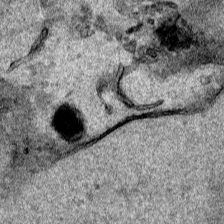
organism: Human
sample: Mitochondria in HCT116 cells